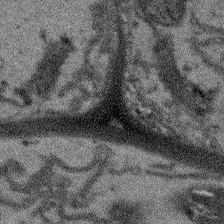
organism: Arabidopsis thaliana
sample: Root tip